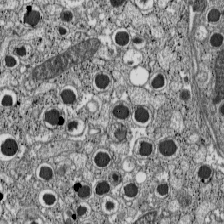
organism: C57BL Mouse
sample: Pancreatic islet